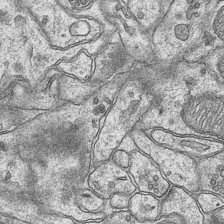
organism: Mouse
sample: CA1 Hippocampus